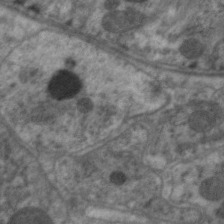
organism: C. elegans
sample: Pharynx